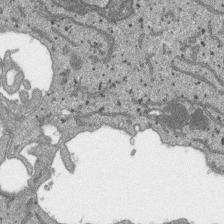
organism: Human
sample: Lung epithelial cells infected with SARS-CoV-2